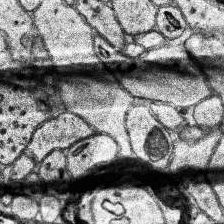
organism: Human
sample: Temporal Lobe